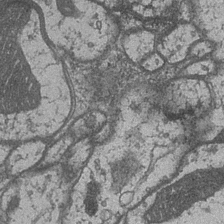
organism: Drosophila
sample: Optic medulla